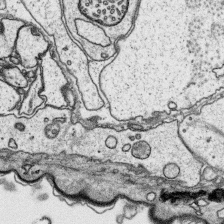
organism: Platynereis dumerilii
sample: Parapodia